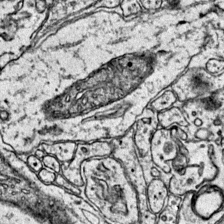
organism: Mouse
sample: Primary visual cortex